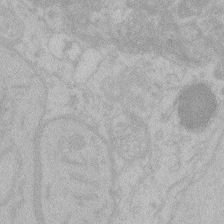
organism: Zebrafish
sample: Macrophage infected with Toxoplasma gondii